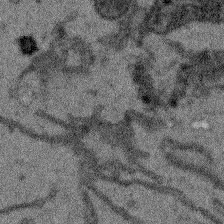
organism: Arabidopsis thaliana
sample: Root tip